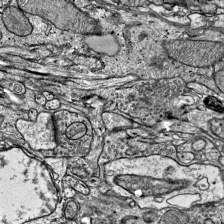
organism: Mouse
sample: Visual Cortex